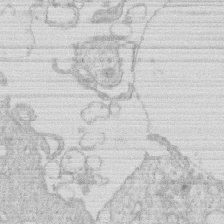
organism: Human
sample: Macrophage cells